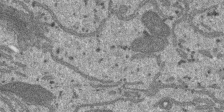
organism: Human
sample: Lung epithelial cells infected with SARS-CoV-2